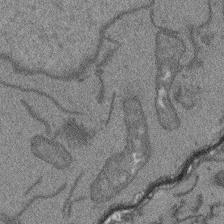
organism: Arabidopsis thaliana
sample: Root tip